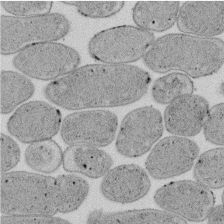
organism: E. coli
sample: Bacterial nucleoid